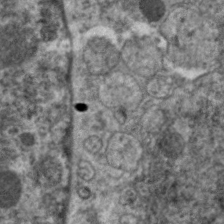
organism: C. elegans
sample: Pharynx